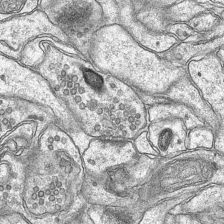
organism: Mouse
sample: CA1 Hippocampus